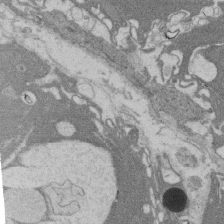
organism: Rat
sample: Salivary granule